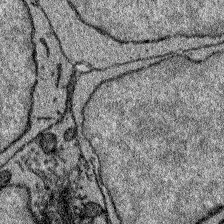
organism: Zebrafish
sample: Larval olfactory bulb